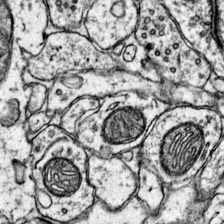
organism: Mouse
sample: Primary visual cortex